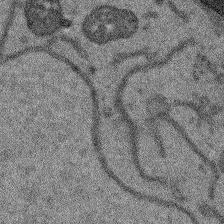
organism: Arabidopsis thaliana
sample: Root tip